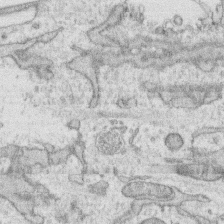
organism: Human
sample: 1205lu cells